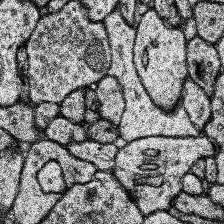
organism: Human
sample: Temporal Lobe